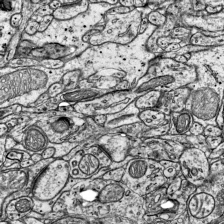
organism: Mouse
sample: Visual Cortex